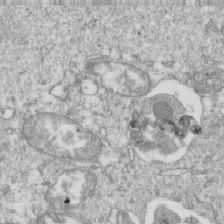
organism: Mouse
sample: Activated OT-1 CD8+ T cells